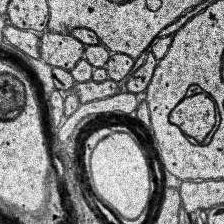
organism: Human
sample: Temporal Lobe